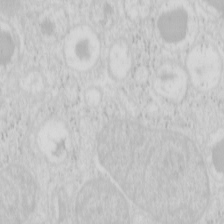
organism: Mouse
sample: Pancreas